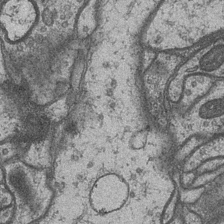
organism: Drosophila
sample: Optic medulla